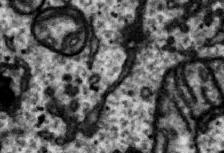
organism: Human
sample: HeLa cells